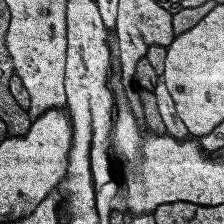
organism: Human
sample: Temporal Lobe